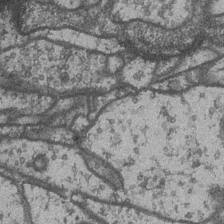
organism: Drosophila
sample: Optic medulla